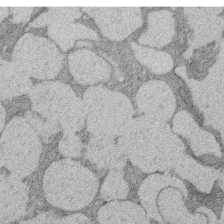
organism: Rat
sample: Salivary granule